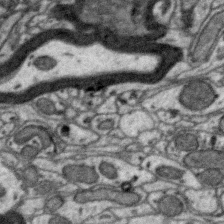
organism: Zebra finch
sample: Brain